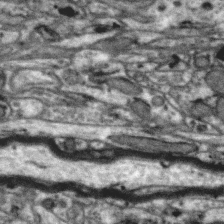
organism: Zebra finch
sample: Brain